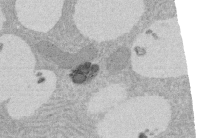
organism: Rat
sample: Salivary granule